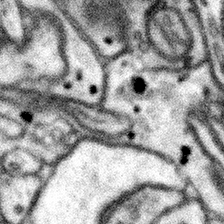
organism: Mouse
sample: Somatosensory cortex neuropil